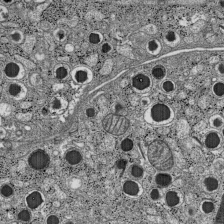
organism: C57BL Mouse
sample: Pancreatic islet